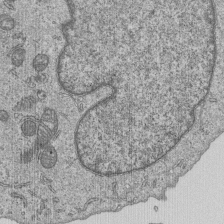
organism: Human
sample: MDA-MB-231 cells